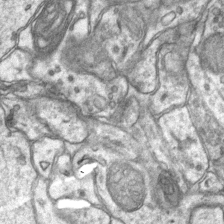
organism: Mouse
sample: CA1 Hippocampus